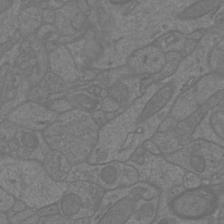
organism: Mouse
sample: Cortical neurons